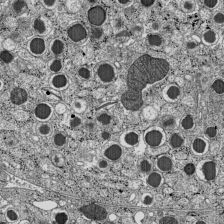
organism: C57BL Mouse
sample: Pancreatic islet